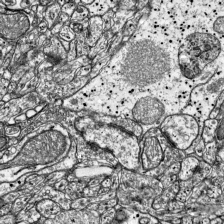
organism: Mouse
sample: Visual Cortex